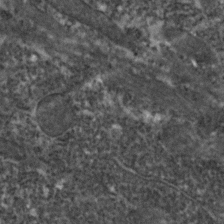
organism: Zebrafish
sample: Zebrafish embryo